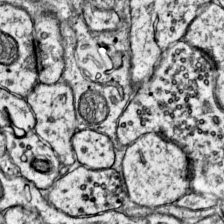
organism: Mouse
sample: Primary visual cortex